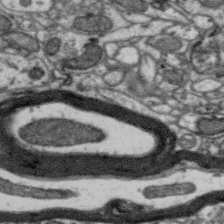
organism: Zebra finch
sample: Brain